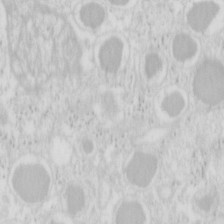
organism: Mouse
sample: Pancreas